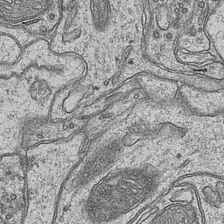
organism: Mouse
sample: CA1 Hippocampus